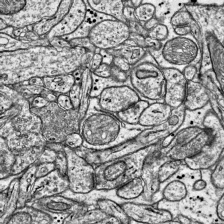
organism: Mouse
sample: Visual Cortex